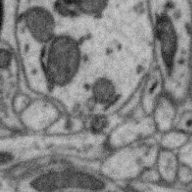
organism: Zebra finch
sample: Brain